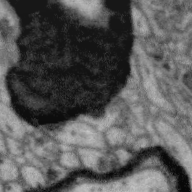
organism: Zebra finch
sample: Brain